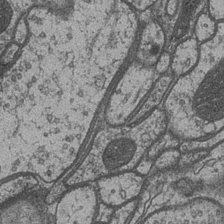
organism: Drosophila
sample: Optic medulla